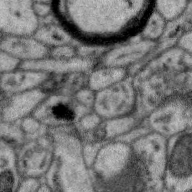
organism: Zebra finch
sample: Brain